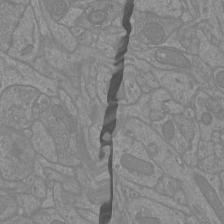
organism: Mouse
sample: Cortical neurons